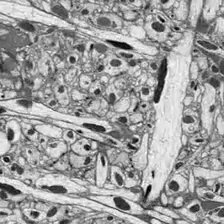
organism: Drosophila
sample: Optic lobe